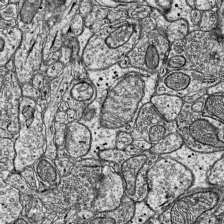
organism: Mouse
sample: Visual Cortex